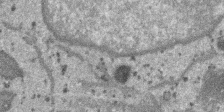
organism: Human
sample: Lung epithelial cells infected with SARS-CoV-2